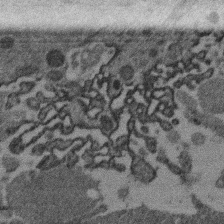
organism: Mouse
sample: Dividing mouse embryo 1 cell stage